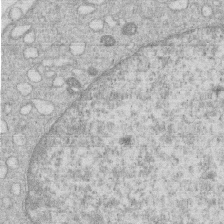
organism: Human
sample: Macrophage cells